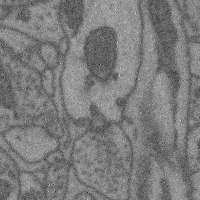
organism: Mouse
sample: Cerebral cortex